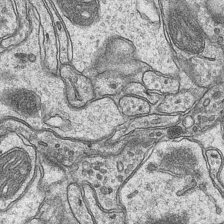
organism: Mouse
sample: CA1 Hippocampus